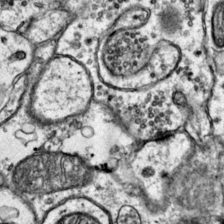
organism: Mouse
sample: Primary visual cortex